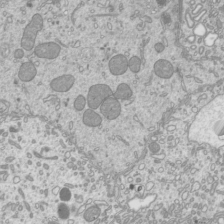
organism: Mouse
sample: Cilia; mouse epididymis